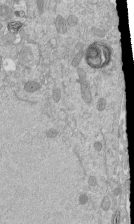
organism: Mouse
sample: ED-1 cell nuclei; centrioles